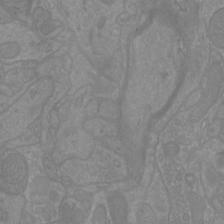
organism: Mouse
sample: Cortical neurons